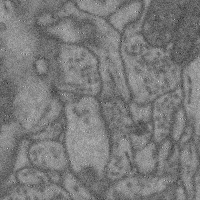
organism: Mouse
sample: Cerebral cortex